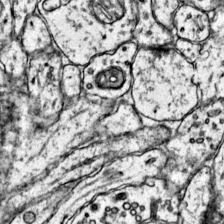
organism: Mouse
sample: Primary visual cortex